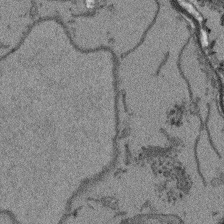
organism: Arabidopsis thaliana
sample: Root tip